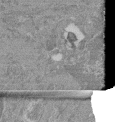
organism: Mouse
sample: Glomerulus